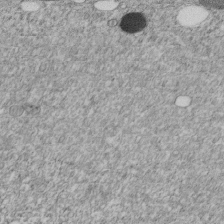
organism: C. elegans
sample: C. elegans embryo early stage